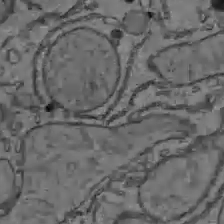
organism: C57BL Mouse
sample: Liver